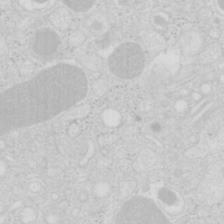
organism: Mouse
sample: Pancreas